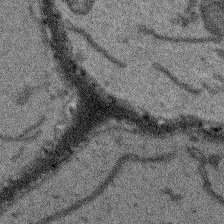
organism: Arabidopsis thaliana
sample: Root tip